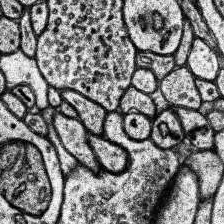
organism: Human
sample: Temporal Lobe